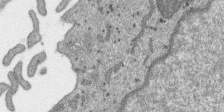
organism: Human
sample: Lung epithelial cells infected with SARS-CoV-2